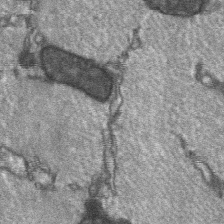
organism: C57BL Mouse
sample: Soleus